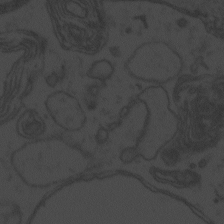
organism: Zebrafish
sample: Macrophage infected with Toxoplasma gondii